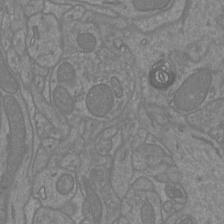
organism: Mouse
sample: Cortical neurons